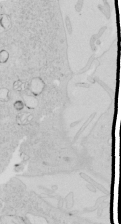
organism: Human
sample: Mitochondria in HCT116 cells